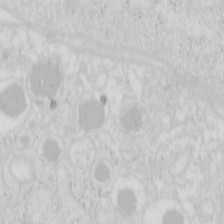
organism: Mouse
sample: Pancreas